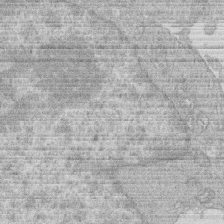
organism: Human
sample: Macrophage cells